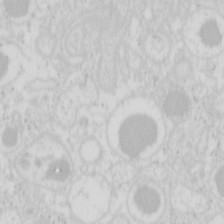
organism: Mouse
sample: Pancreas